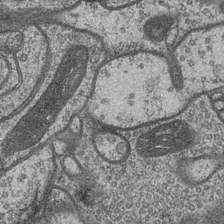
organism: Drosophila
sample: Optic medulla